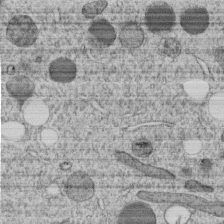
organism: C. elegans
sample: C. elegans embryo early stage